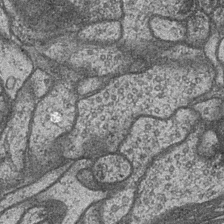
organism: Drosophila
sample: Optic medulla